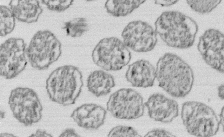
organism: E. coli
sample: Bacterial nucleoid